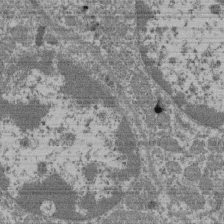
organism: Mouse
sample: Glomerulus